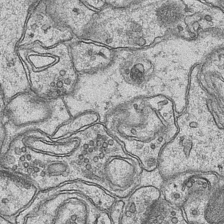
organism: Mouse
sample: CA1 Hippocampus